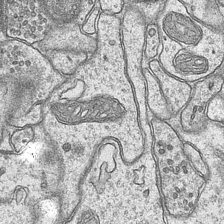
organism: Mouse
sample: CA1 Hippocampus